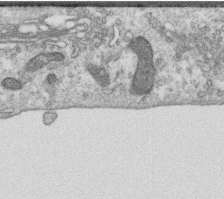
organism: Human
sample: Centriole in RPE cells